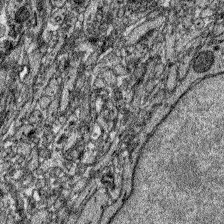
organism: Zebrafish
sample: Larval olfactory bulb